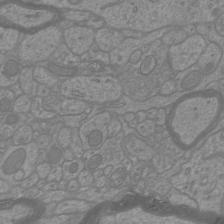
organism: Mouse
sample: Cortical neurons